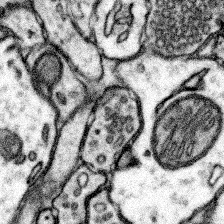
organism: Mouse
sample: Somatosensory cortex neuropil